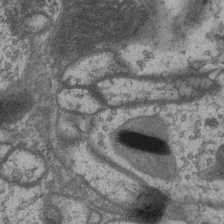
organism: Drosophila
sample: Optic medulla